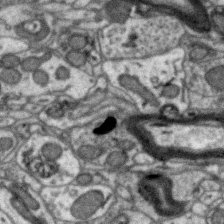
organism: Zebra finch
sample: Brain